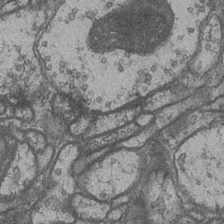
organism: Drosophila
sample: Optic medulla